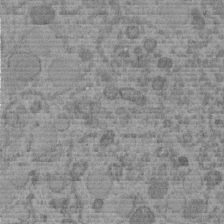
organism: C. elegans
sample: C. elegans embryo early stage